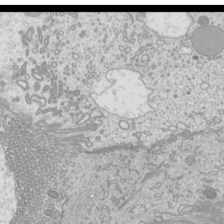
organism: Mouse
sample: Cilia; mouse epididymis